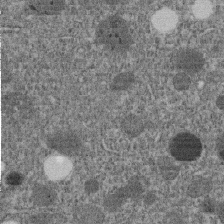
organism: C. elegans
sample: C. elegans embryo early stage